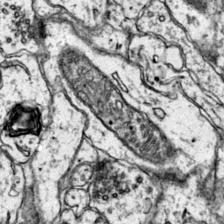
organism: Mouse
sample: Primary visual cortex